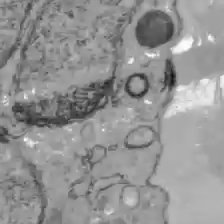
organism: C57BL Mouse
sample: Liver